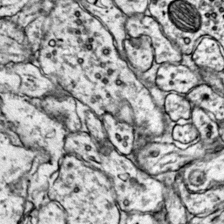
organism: Mouse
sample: Primary visual cortex